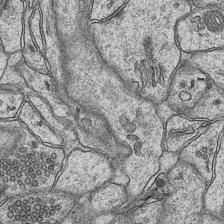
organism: Mouse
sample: CA1 Hippocampus